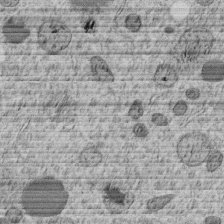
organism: C. elegans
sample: C. elegans embryo early stage